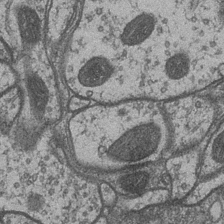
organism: Drosophila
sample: Optic medulla